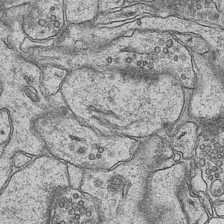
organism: Mouse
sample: CA1 Hippocampus